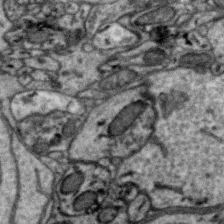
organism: Zebra finch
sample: Brain